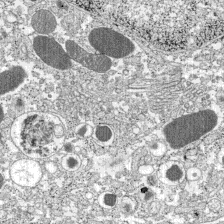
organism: C57BL Mouse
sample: Pancreatic islet